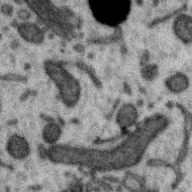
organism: Zebra finch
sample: Brain